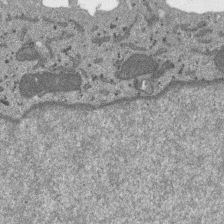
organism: Human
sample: Lung epithelial cells infected with SARS-CoV-2